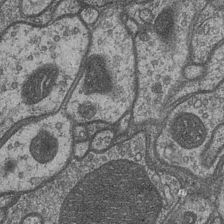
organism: Drosophila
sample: Optic medulla